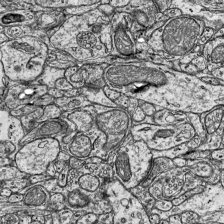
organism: Mouse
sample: Visual Cortex